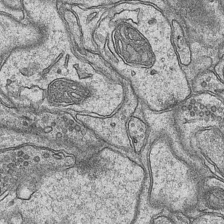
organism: Mouse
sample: CA1 Hippocampus